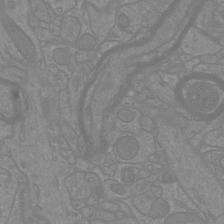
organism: Mouse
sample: Cortical neurons